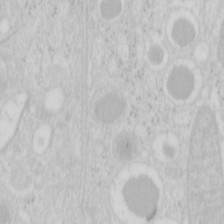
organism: Mouse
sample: Pancreas